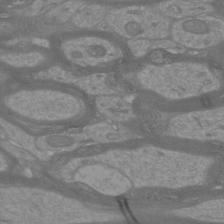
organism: Mouse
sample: Cortical neurons